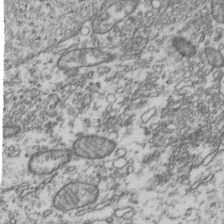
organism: Human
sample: Activated Jurkat CD4+ T cells